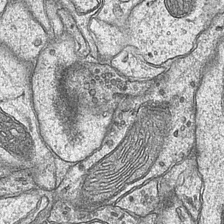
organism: Mouse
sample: CA1 Hippocampus